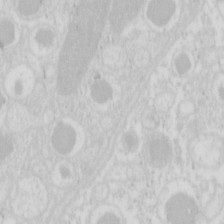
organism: Mouse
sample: Pancreas